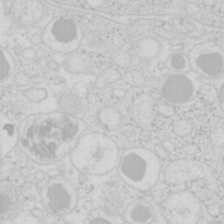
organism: Mouse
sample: Pancreas